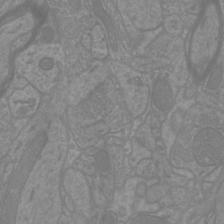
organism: Mouse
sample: Cortical neurons